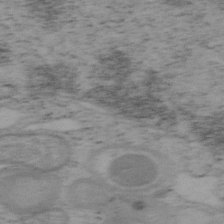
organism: Mouse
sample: OT-I killer T cells with ID8 ovarian cancer cells